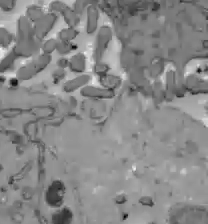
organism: C57BL Mouse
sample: Liver